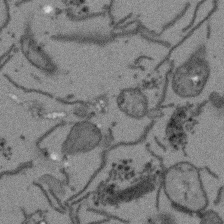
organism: Arabidopsis thaliana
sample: Root tip